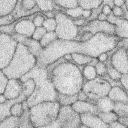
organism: Rabbit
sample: Retina